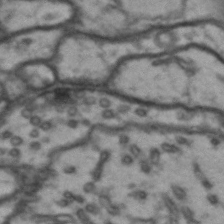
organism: Drosophila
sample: Brain